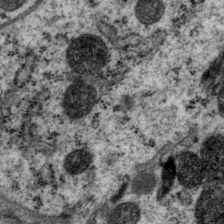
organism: P. pacificus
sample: Pharynx